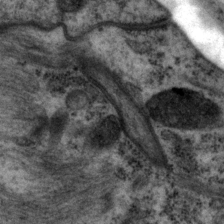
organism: P. pacificus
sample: Pharynx